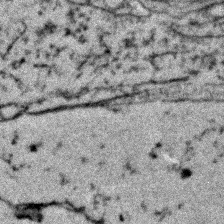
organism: Zebrafish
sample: Zebrafish embryo